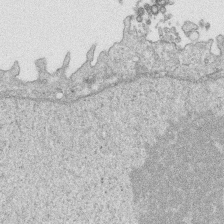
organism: Human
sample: HeLa cell HIV synapse